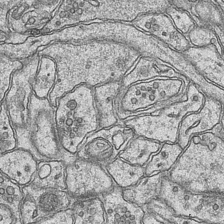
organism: Mouse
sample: CA1 Hippocampus